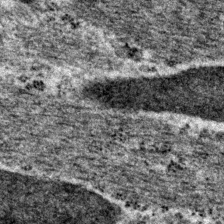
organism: P. pacificus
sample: Pharynx